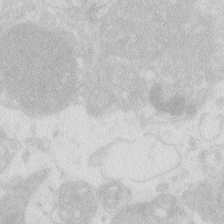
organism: Zebrafish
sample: Macrophage